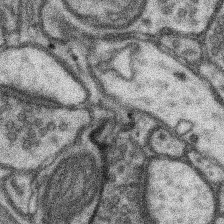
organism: Mouse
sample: Somatosensory cortex neuropil